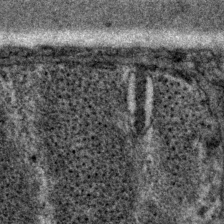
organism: P. pacificus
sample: Pharynx